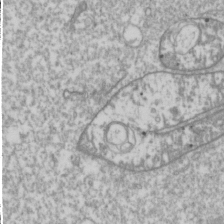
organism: Drosophila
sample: Cell division; meiosis; drosophila spermatocytes